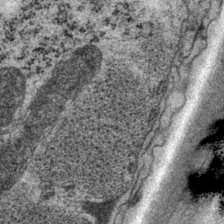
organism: P. pacificus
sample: Pharynx